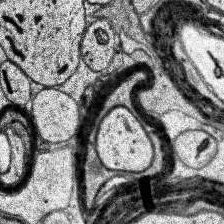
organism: Human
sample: Temporal Lobe